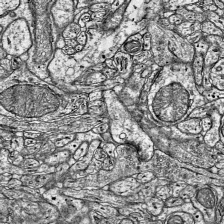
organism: Mouse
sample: Visual Cortex